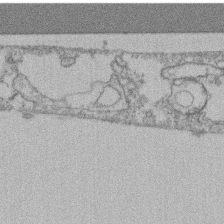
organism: Mouse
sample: T cell stromal cell synapse